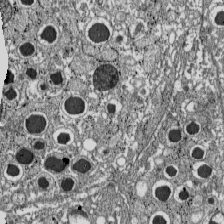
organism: C57BL Mouse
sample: Pancreatic islet